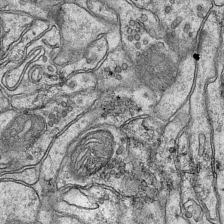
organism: Mouse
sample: CA1 Hippocampus